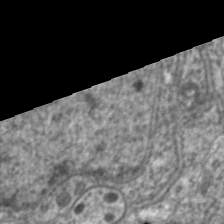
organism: C. elegans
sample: Pharynx